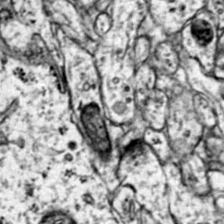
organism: Mouse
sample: Primary visual cortex